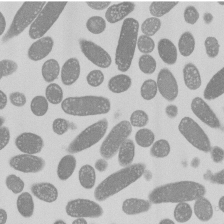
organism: E. coli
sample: Bacterial nucleoid